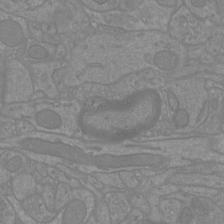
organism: Mouse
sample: Cortical neurons